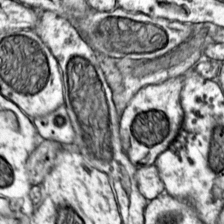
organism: Mouse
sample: Primary visual cortex